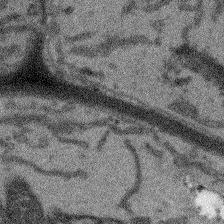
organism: Arabidopsis thaliana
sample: Root tip